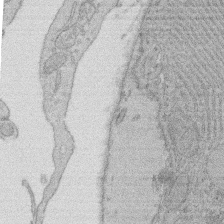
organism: Rat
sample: Salivary granule